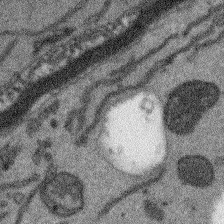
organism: Arabidopsis thaliana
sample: Root tip